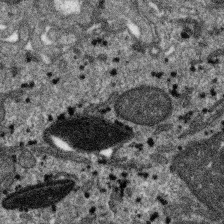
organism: Human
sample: Lung epithelial cells infected with SARS-CoV-2